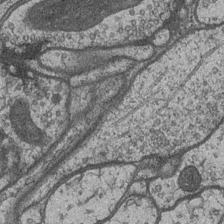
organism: Drosophila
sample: Optic medulla